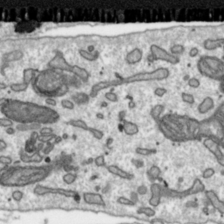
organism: Toxoplasma gondii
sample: Parasites in a vacuole inside a host cell